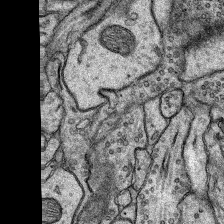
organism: Rat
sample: Hippocampus